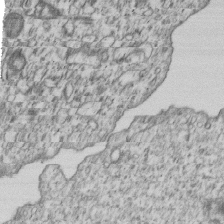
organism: Human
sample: MDA-MB-231 cells